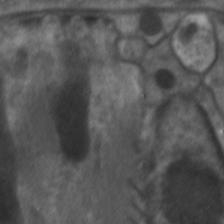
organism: C. elegans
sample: Pharynx